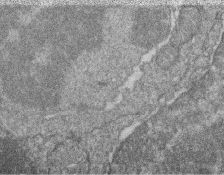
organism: Zebrafish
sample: Cilia; retinal pigment epithelium